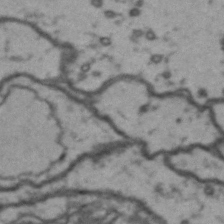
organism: Drosophila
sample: Brain